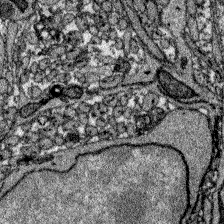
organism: Zebrafish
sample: Larval olfactory bulb